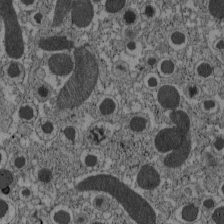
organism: C57BL Mouse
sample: Pancreatic islet